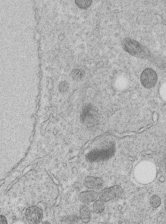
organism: C. elegans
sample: C. elegans embryo early stage